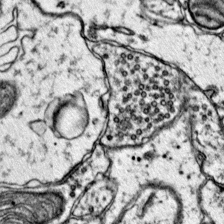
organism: Mouse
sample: Primary visual cortex